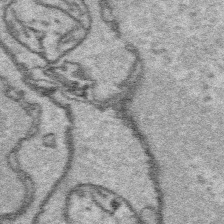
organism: Platynereis dumerilii